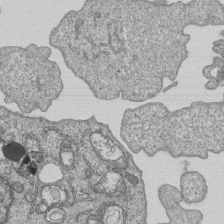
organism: Human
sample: MDA-MB-231 cells